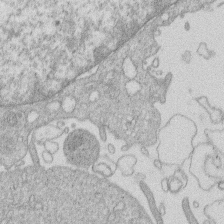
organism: Human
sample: Macrophage cells